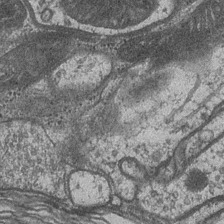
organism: Drosophila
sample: Optic medulla